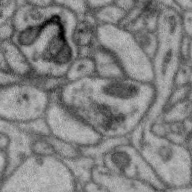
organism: Zebra finch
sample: Brain